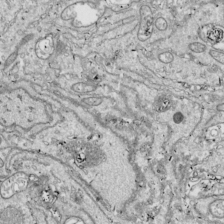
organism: Drosophila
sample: Cell division; meiosis; drosophila spermatocytes